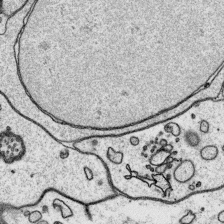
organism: Platynereis dumerilii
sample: Parapodia